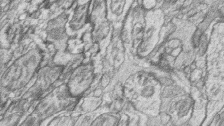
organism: Zebrafish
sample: synaptic ribbons in rod cells and cone cells